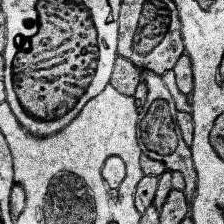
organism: Human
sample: Temporal Lobe